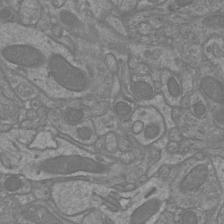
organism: Mouse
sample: Cortical neurons